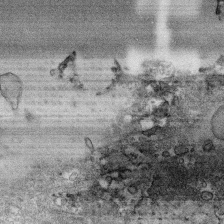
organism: Human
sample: CRL-1474